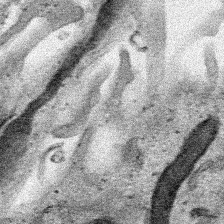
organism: Human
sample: Mitochondria in HCT116 cells